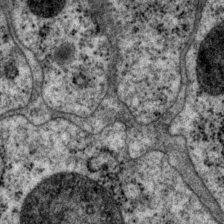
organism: P. pacificus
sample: Pharynx